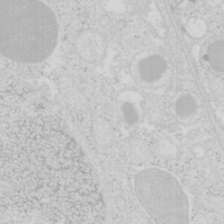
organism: Mouse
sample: Pancreas